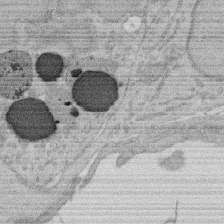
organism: Rat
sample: Salivary granule